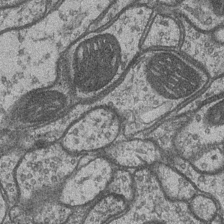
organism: Drosophila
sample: Optic medulla